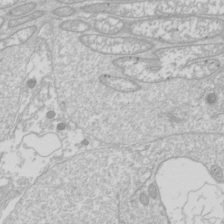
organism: Drosophila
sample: Cell division; meiosis; drosophila spermatocytes